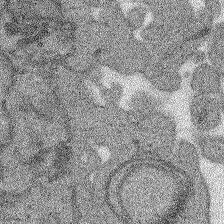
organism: Human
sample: HeLa cells